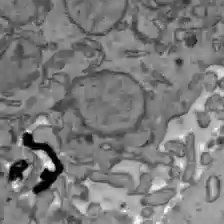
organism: C57BL Mouse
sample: Liver